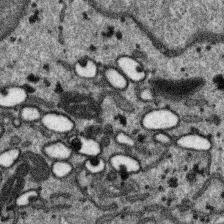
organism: Human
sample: Lung epithelial cells infected with SARS-CoV-2